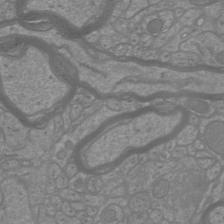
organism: Mouse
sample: Cortical neurons